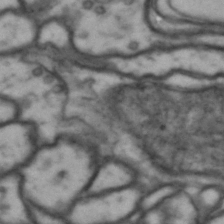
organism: Drosophila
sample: Brain